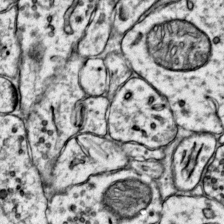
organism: Mouse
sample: Primary visual cortex